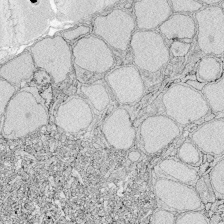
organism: Zebrafish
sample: Whole-Brain